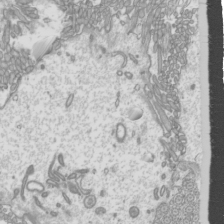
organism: Mouse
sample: Cilia; mouse epididymis